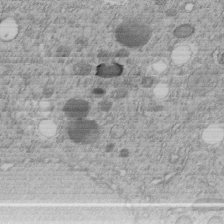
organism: C. elegans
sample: C. elegans embryo early stage